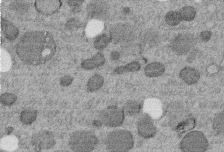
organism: C. elegans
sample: C. elegans embryo early stage